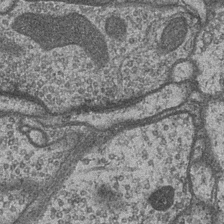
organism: Drosophila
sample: Optic medulla